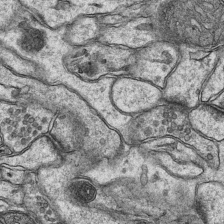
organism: Mouse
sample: CA1 Hippocampus